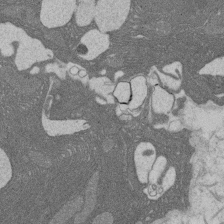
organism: Rat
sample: Salivary granule